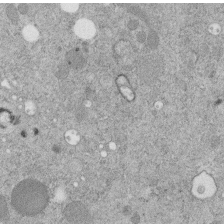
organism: C. elegans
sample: C. elegans embryo early stage